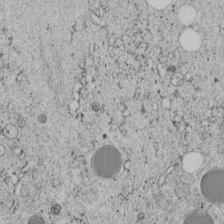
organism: C. elegans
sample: C. elegans embryo early stage